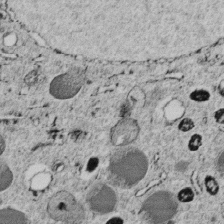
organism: C. elegans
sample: C. elegans embryo early stage